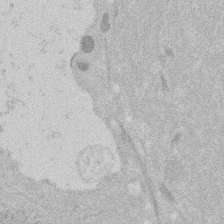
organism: Mouse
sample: Dividing mouse embryo 1 cell stage